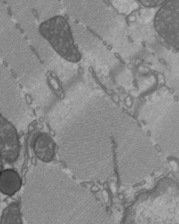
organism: C57BL Mouse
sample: Heart